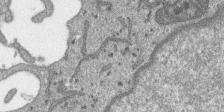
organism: Human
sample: Lung epithelial cells infected with SARS-CoV-2